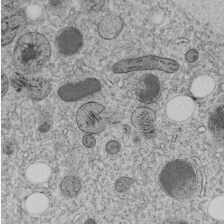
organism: C. elegans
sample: C. elegans embryo early stage